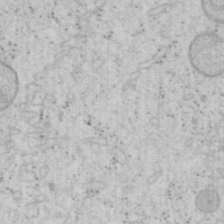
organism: Human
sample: HeLa cells